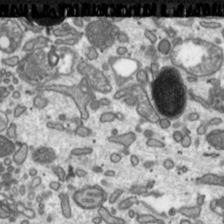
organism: Toxoplasma gondii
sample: Parasites in a vacuole inside a host cell